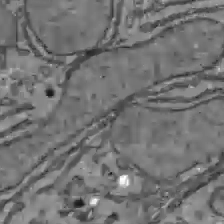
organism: C57BL Mouse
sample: Liver